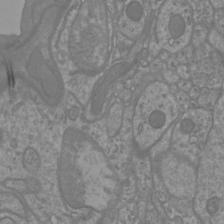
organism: Mouse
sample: Cortical neurons